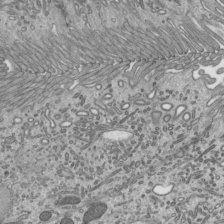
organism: Mouse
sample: Mouse epididymis efferent ductule cilia